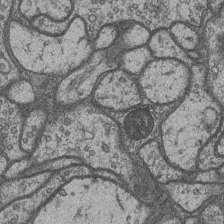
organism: Drosophila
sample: Optic medulla